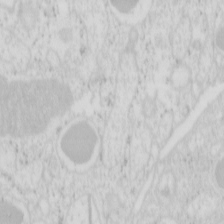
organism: Mouse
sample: Pancreas